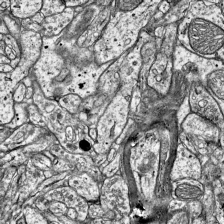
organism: Mouse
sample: Visual Cortex